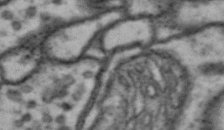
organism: Drosophila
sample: Brain